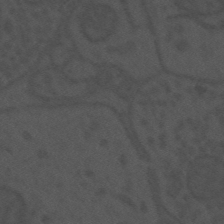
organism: Mouse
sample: Suprachiasmatic nucleus